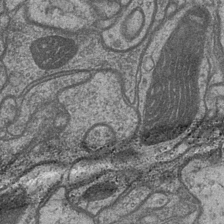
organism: Drosophila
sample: Optic medulla